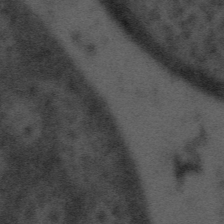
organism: Tuwongella immobilis